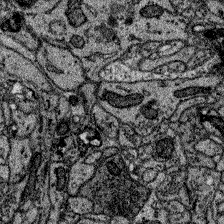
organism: Zebrafish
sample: Larval olfactory bulb